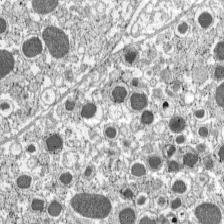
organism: C57BL Mouse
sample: Pancreatic islet